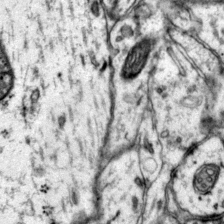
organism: Mouse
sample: Primary visual cortex